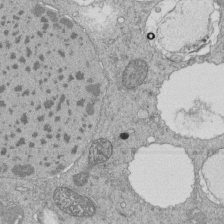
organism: Tetrahymena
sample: Cilia in tetrahymena